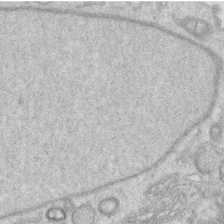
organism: Human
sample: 1205lu cells